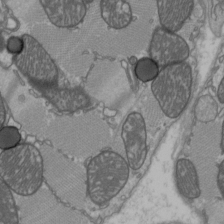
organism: C57BL Mouse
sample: Heart